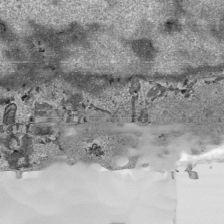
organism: Human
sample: Mitochondria in HCT116 cells